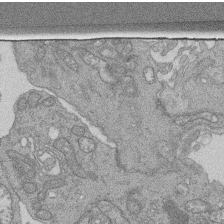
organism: Human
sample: Retinal organoid Rod and Cone cells